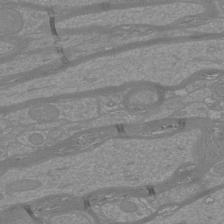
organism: Mouse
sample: Cortical neurons